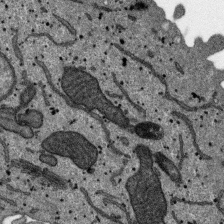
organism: Human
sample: Lung epithelial cells, uninfected (mock) control